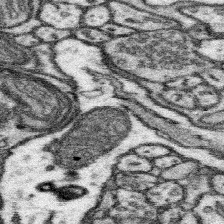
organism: Mouse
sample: Somatosensory cortex neuropil